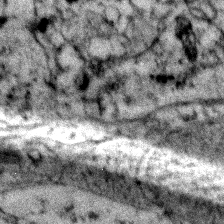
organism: Zebrafish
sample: Zebrafish embryo